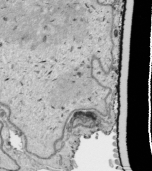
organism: Human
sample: Mitochondria in HCT116 cells